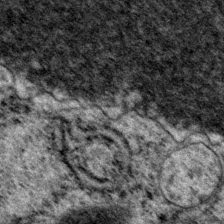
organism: P. pacificus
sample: Pharynx